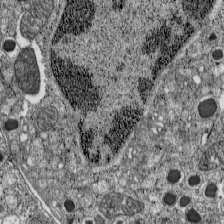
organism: C57BL Mouse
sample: Pancreatic islet